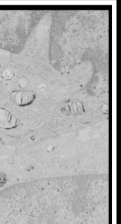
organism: Human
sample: Mitochondria in HCT116 cells